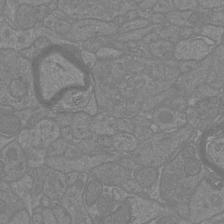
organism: Mouse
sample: Cortical neurons